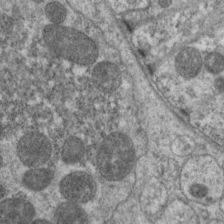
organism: C. elegans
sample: Pharynx